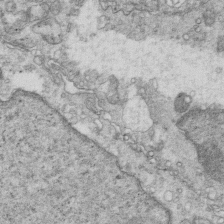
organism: Mouse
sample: Multiciliated cells